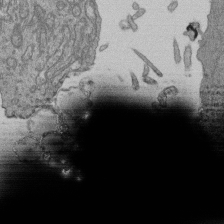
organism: Human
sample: Retinal organoid Rod and Cone cells